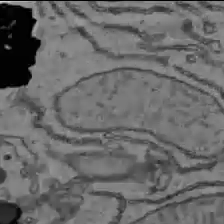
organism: C57BL Mouse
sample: Liver